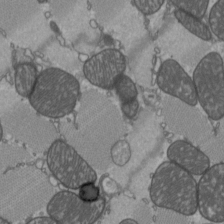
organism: C57BL Mouse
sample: Heart